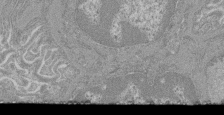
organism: Mouse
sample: Glomerulus